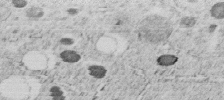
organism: C. elegans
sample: C. elegans embryo early stage